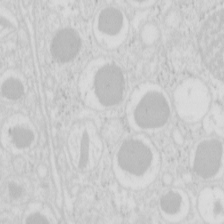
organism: Mouse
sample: Pancreas